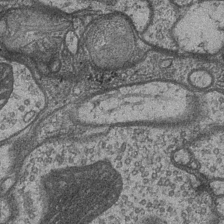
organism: Drosophila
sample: Optic medulla